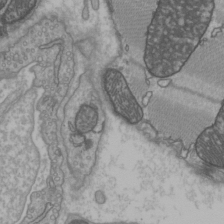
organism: C57BL Mouse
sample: Heart